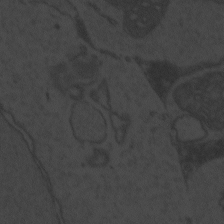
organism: Zebrafish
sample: Macrophage infected with Toxoplasma gondii